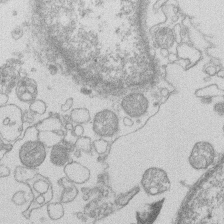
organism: Human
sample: Macrophage cells